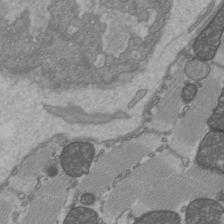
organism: C57BL Mouse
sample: Heart